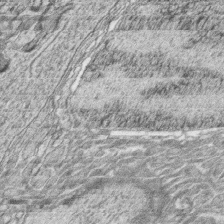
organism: Zebrafish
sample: synaptic ribbons in rod cells and cone cells